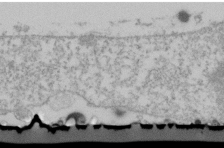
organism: Human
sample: U2-OS cells